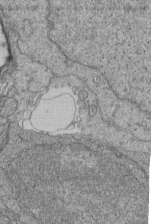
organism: Human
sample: Retinal organoid Rod and Cone cells